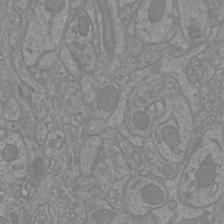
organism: Mouse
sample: Cortical neurons